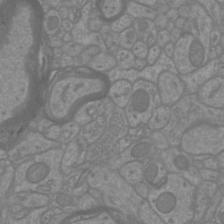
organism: Mouse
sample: Cortical neurons